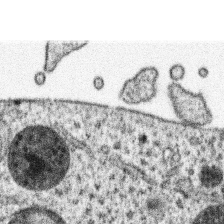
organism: Human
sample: HeLa cells